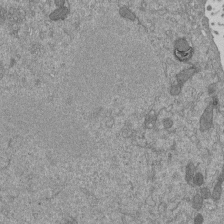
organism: Mouse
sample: ED-1 cell nuclei; centrioles